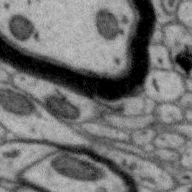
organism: Zebra finch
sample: Brain